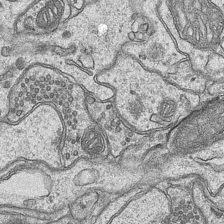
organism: Mouse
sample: CA1 Hippocampus